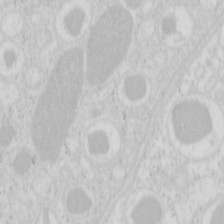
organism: Mouse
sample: Pancreas